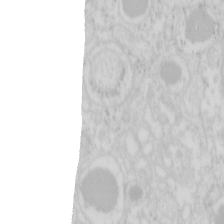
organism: Mouse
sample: Pancreas